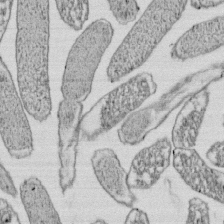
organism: E. coli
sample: Bacterial nucleoid